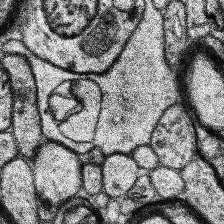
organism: Human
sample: Temporal Lobe